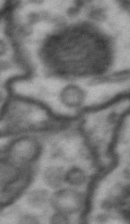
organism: Drosophila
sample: Brain